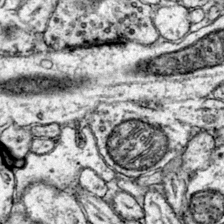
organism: Mouse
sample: Primary visual cortex